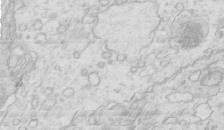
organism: Mouse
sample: Multiciliated cells